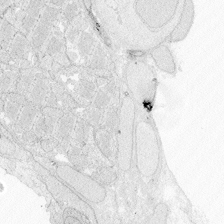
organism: Zebrafish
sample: Whole-Brain